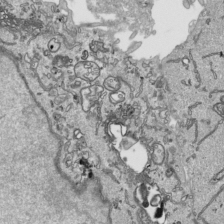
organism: Human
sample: Mitochondria in HCT116 cells